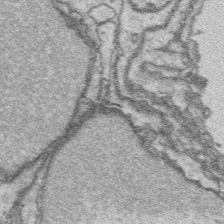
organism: Platynereis dumerilii